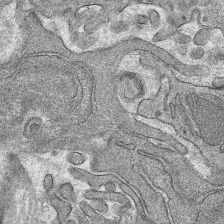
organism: Mouse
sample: Mouse hepatocytes